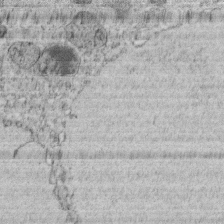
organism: C. elegans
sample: C. elegans embryo early stage